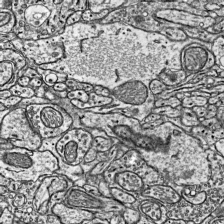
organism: Mouse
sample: Visual Cortex